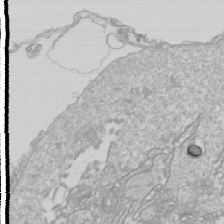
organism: Drosophila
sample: Cell division; meiosis; drosophila spermatocytes